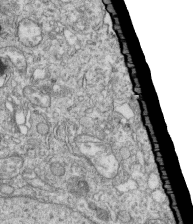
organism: Human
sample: HeLa cell HIV synapse